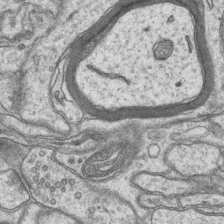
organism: Mouse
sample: CA1 Hippocampus